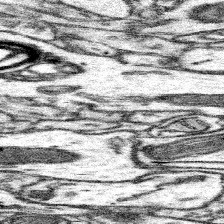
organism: Mouse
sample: Somatosensory cortex neuropil